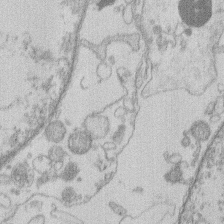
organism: Human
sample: Macrophage cells